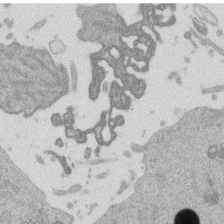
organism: Mouse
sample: Dividing mouse embryo 1 cell stage